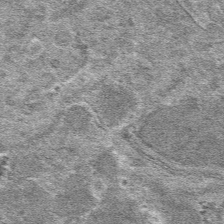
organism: Mouse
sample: Mouse hepatocytes